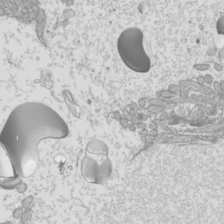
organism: Mouse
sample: Cilia; mouse epididymis